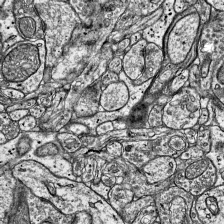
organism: Mouse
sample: Visual Cortex